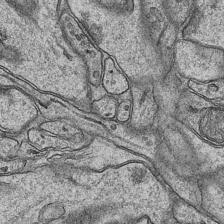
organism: Mouse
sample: CA1 Hippocampus